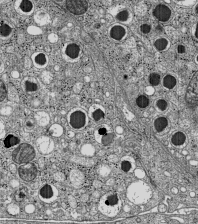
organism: C57BL Mouse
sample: Pancreatic islet